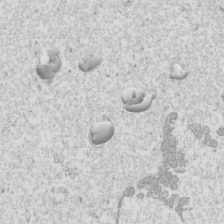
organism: Mouse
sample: Cilia; mouse epididymis